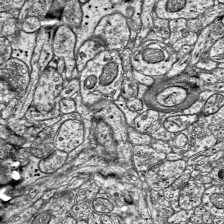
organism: Mouse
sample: Visual Cortex